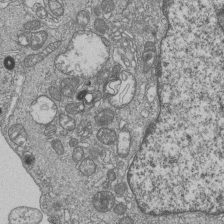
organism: Human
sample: MDA-MB-231 cells